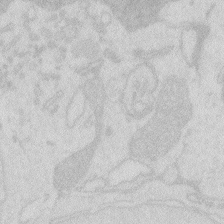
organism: Zebrafish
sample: Macrophage